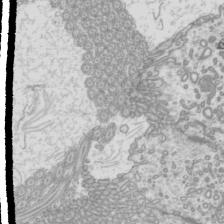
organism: Mouse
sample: Cilia; mouse epididymis